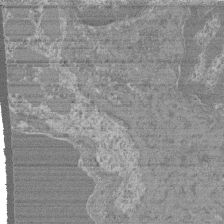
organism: Mouse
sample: Glomerulus